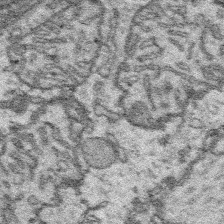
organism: Platynereis dumerilii